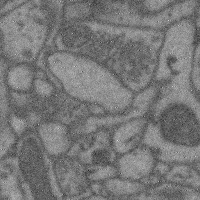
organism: Mouse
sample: Cerebral cortex